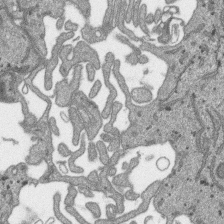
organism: Human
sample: Lung epithelial cells infected with SARS-CoV-2